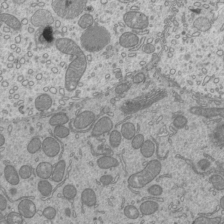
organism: Mouse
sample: Cilia; mouse epididymis